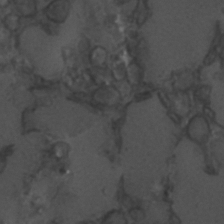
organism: C. elegans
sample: C. elegans embryo